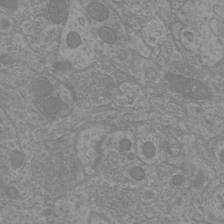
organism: Mouse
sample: Cortical neurons